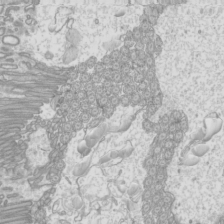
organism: Mouse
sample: Cilia; mouse epididymis